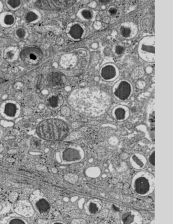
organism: C57BL Mouse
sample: Pancreatic islet